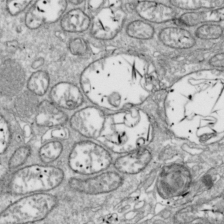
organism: Drosophila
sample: Cell division; meiosis; drosophila spermatocytes